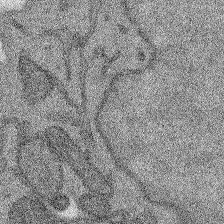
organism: Human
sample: HeLa cells